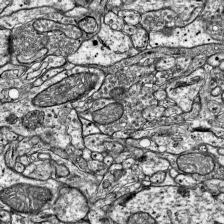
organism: Mouse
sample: Visual Cortex